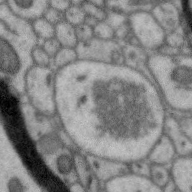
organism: Zebra finch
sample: Brain